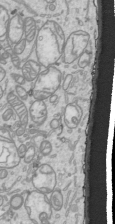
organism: Human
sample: Mitochondria in HCT116 cells